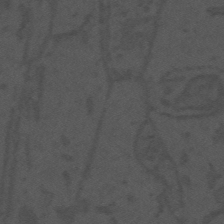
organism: Mouse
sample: Suprachiasmatic nucleus